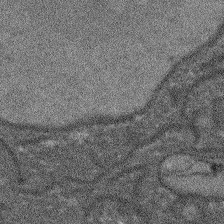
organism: Arabidopsis thaliana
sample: Root tip